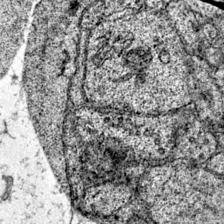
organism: Mouse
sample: Primary visual cortex